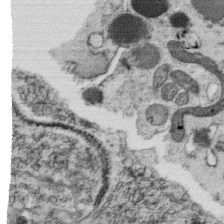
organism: C. elegans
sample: C. elegans oocyte; sperm cells